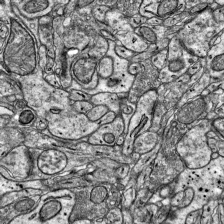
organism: Mouse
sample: Visual Cortex